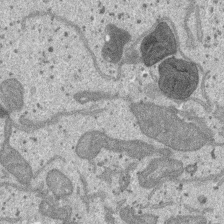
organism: Human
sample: Lung epithelial cells infected with SARS-CoV-2